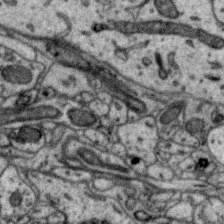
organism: Zebra finch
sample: Brain